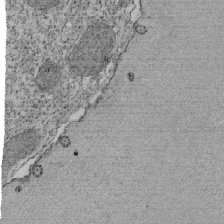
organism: Tetrahymena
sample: Cilia in tetrahymena